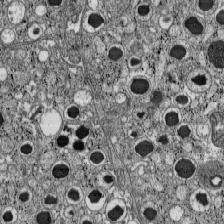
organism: C57BL Mouse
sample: Pancreatic islet